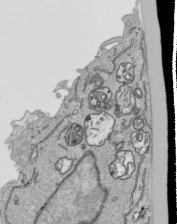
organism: Human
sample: Mitochondria in HCT116 cells